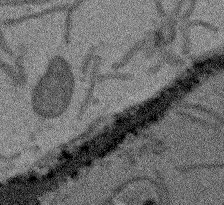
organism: Arabidopsis thaliana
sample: Root tip